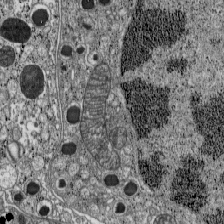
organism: C57BL Mouse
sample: Pancreatic islet